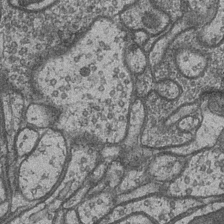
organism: Drosophila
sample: Optic medulla